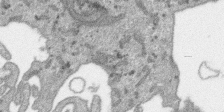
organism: Human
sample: Lung epithelial cells infected with SARS-CoV-2